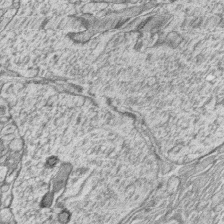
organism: Zebrafish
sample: synaptic ribbons in rod cells and cone cells